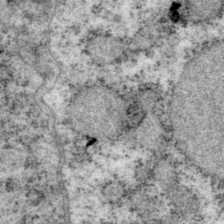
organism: P. pacificus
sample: Pharynx